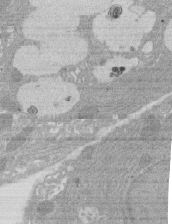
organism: Rat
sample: Salivary granule